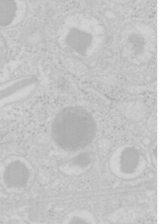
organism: Mouse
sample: Pancreas